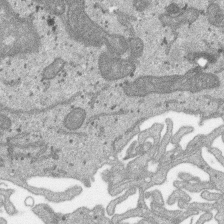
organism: Human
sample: Lung epithelial cells infected with SARS-CoV-2